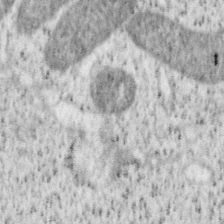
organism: Mouse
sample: OT-I killer T cells with ID8 ovarian cancer cells